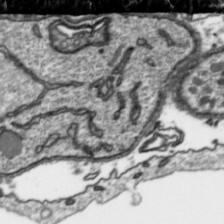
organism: Toxoplasma gondii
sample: Parasites in a vacuole inside a host cell